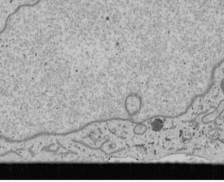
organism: Human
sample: Mitochondria in U2OS cells